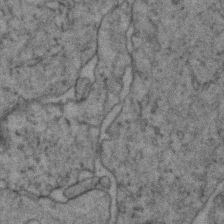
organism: Zebrafish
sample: Zebrafish embryo